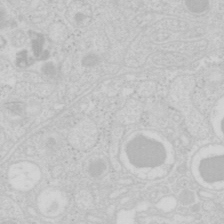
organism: Mouse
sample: Pancreas